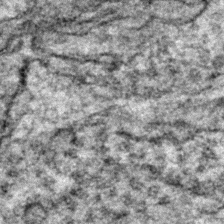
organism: Zebrafish